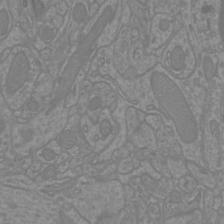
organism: Mouse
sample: Cortical neurons